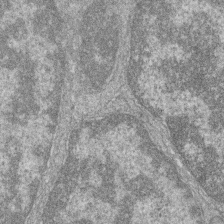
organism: Zebrafish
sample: Cilia; retinal pigment epithelium